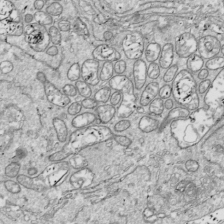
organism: Drosophila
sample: Cell division; meiosis; drosophila spermatocytes